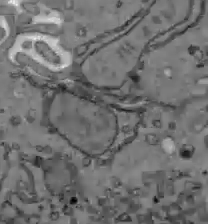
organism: C57BL Mouse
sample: Liver